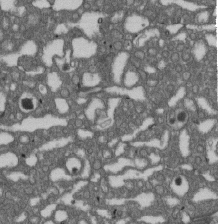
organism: Drosophila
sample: Nephrocyte